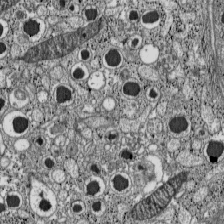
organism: C57BL Mouse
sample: Pancreatic islet